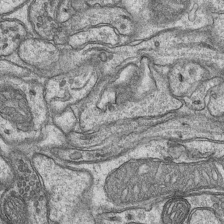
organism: Mouse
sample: CA1 Hippocampus